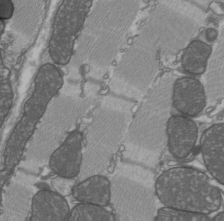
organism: C57BL Mouse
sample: Heart